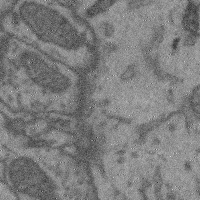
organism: Mouse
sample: Cerebral cortex